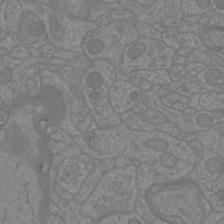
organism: Mouse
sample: Cortical neurons